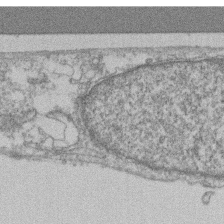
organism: Mouse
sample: T cell stromal cell synapse